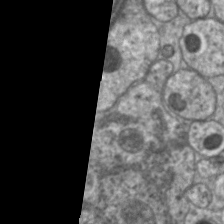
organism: C. elegans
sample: Pharynx